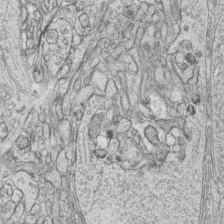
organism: Zebrafish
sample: synaptic ribbons in rod cells and cone cells